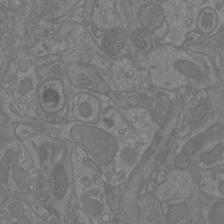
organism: Mouse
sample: Cortical neurons